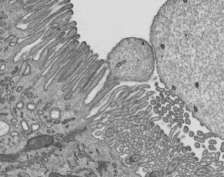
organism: Mouse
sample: Mouse epididymis efferent ductule cilia